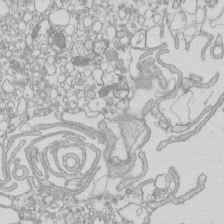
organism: Mouse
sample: Macrophages